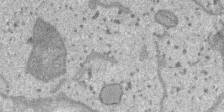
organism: Human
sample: Lung epithelial cells infected with SARS-CoV-2